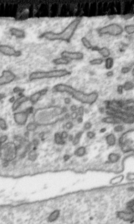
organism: Toxoplasma gondii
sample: Parasites in a vacuole inside a host cell